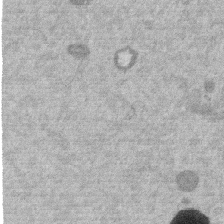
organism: Mouse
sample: Dividing mouse embryo 1 cell stage